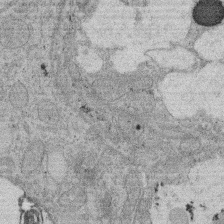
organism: Rat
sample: Salivary granule